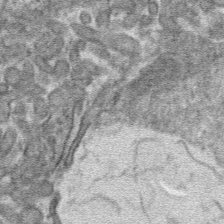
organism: Mouse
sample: Mouse hepatocytes